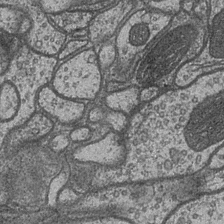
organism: Drosophila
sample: Optic medulla